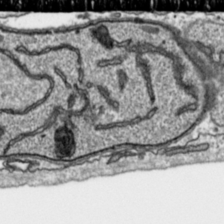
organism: Toxoplasma gondii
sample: Parasites in a vacuole inside a host cell